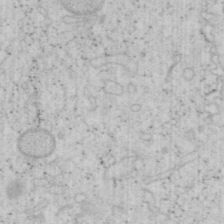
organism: Human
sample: HeLa cells